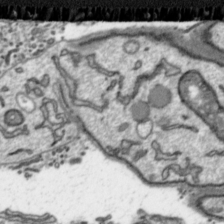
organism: Toxoplasma gondii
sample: Parasites in a vacuole inside a host cell